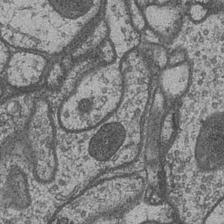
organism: Drosophila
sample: Optic medulla